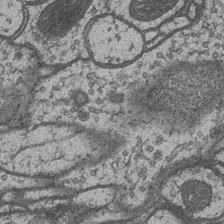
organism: Drosophila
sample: Optic medulla